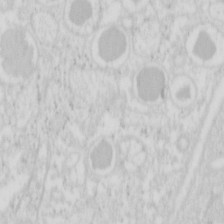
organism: Mouse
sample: Pancreas